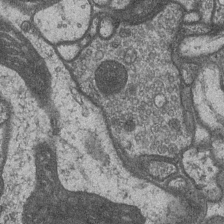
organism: Drosophila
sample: Optic medulla